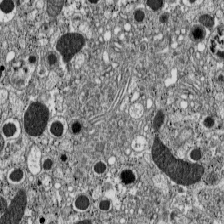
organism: C57BL Mouse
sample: Pancreatic islet